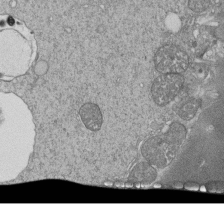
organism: Tetrahymena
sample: Cilia in tetrahymena